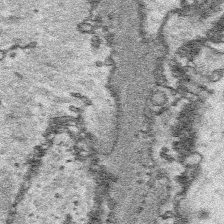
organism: Platynereis dumerilii